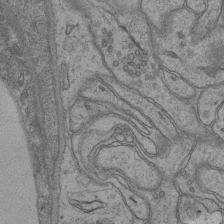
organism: Mouse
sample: CA1 Hippocampus